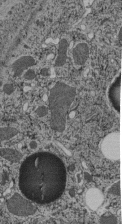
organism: C. elegans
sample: C. elegans pharynx